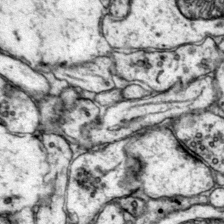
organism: Mouse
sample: Primary visual cortex